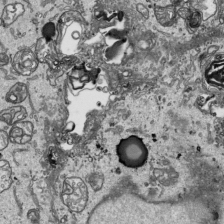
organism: Human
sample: Mitochondria in HCT116 cells